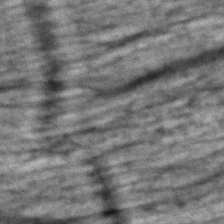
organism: Zebrafish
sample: Zebrafish embryo